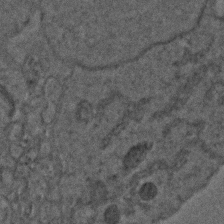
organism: C. elegans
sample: C. elegans embryo